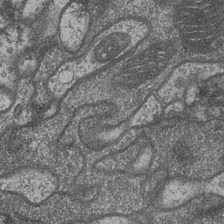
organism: Drosophila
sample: Optic medulla